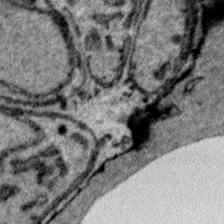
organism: Plasmodium falciparum